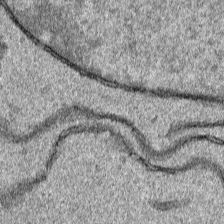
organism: Human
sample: Mitochondria in HCT116 cells